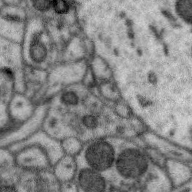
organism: Zebra finch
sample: Brain